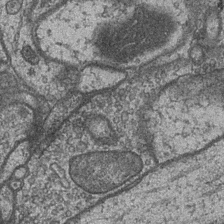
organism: Drosophila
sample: Optic medulla